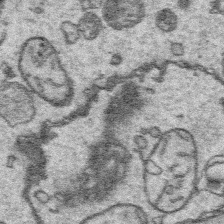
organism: Platynereis dumerilii